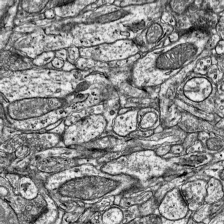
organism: Mouse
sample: Visual Cortex